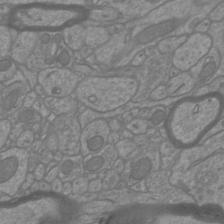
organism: Mouse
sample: Cortical neurons